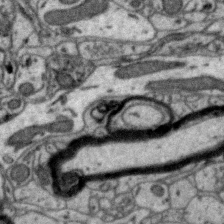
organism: Zebra finch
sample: Brain